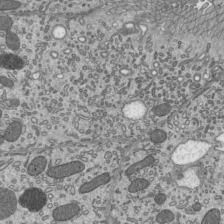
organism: Mouse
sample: Mouse epididymis efferent ductule cilia